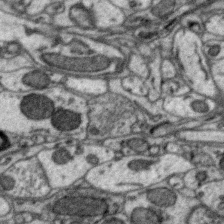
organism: Zebra finch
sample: Brain